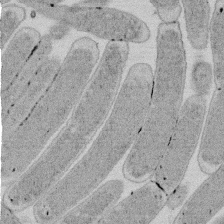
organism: E. coli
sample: Bacterial nucleoid